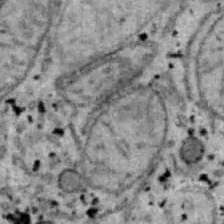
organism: Mouse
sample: Liver from an obese (ob/ob) mouse